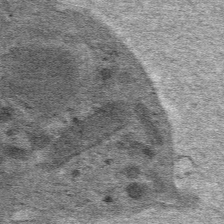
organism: Mouse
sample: Mouse hepatocytes